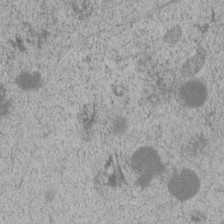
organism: C. elegans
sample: C. elegans embryo early stage